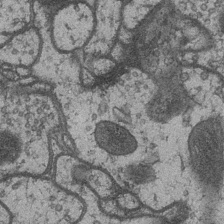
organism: Drosophila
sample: Optic medulla